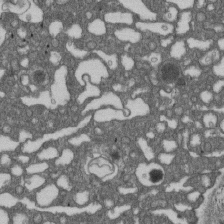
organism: Drosophila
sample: Nephrocyte